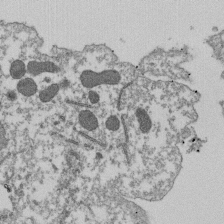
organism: Dictyostelium discoideum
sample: Dictyostelium multivesicular bodies